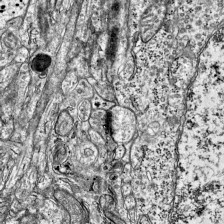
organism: Mouse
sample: Visual Cortex